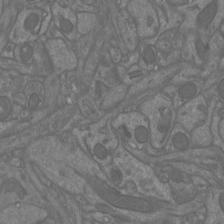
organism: Mouse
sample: Cortical neurons